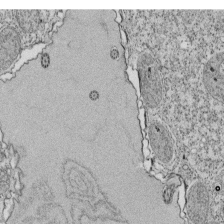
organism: Tetrahymena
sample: Cilia in tetrahymena